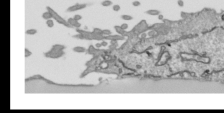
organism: Human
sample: Mitochondria in HCT116 cells